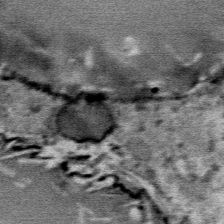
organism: Mouse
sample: Mouse Salivary gland